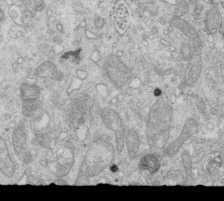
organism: Mouse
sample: Multiciliated cells